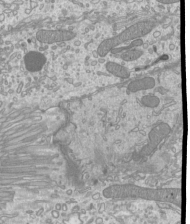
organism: Mouse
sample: Cilia; mouse epididymis